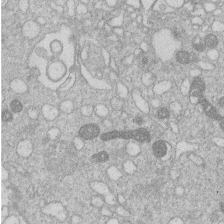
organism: Human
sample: Macrophage cells